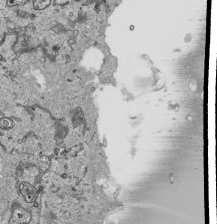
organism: Human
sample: Mitochondria in HCT116 cells